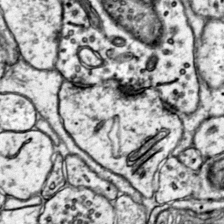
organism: Mouse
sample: Primary visual cortex